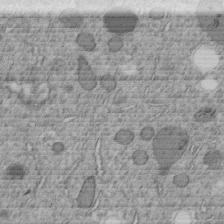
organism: C. elegans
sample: C. elegans embryo early stage